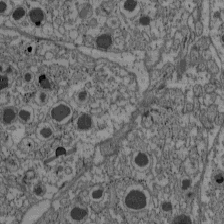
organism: C57BL Mouse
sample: Pancreatic islet